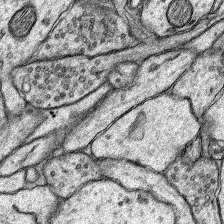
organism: Rat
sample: Hippocampus